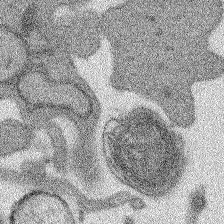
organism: Human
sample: HeLa cells